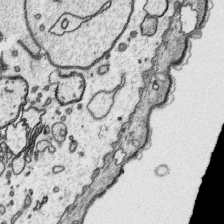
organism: Platynereis dumerilii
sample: Parapodia